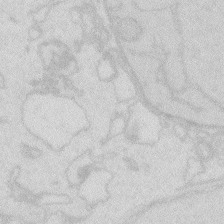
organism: Zebrafish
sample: Macrophage